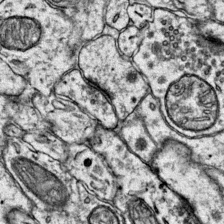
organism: Mouse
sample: Primary visual cortex